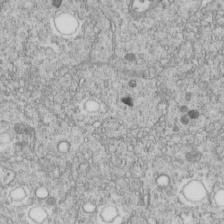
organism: C. elegans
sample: C. elegans embryo early stage